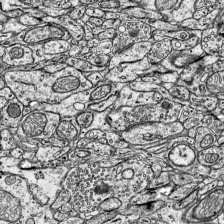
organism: Mouse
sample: Visual Cortex